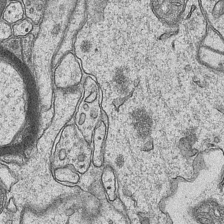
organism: Mouse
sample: CA1 Hippocampus